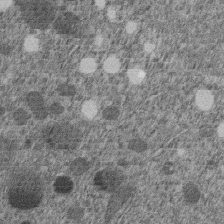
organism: C. elegans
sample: C. elegans embryo early stage